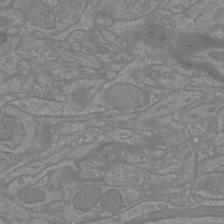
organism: Mouse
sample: Cortical neurons